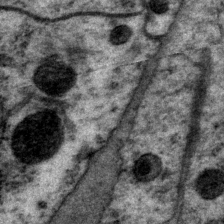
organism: P. pacificus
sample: Pharynx